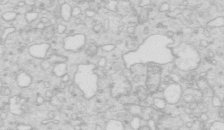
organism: Mouse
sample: Multiciliated cells